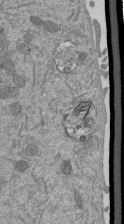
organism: Mouse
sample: ED-1 cell nuclei; centrioles